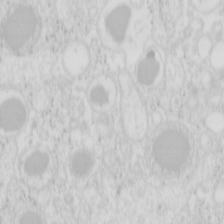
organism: Mouse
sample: Pancreas